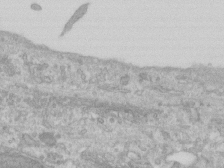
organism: Human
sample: Centriole in RPE cells